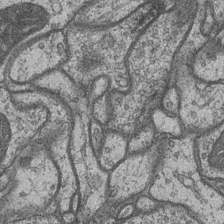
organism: Drosophila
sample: Optic medulla